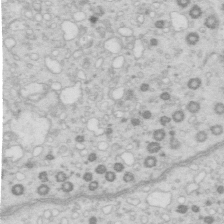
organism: Mouse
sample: Multiciliated cells